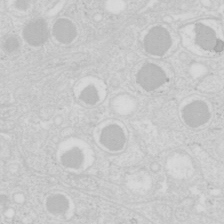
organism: Mouse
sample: Pancreas